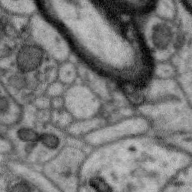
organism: Zebra finch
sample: Brain